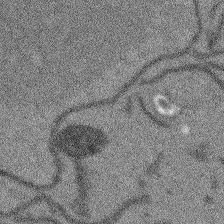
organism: Arabidopsis thaliana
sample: Root tip